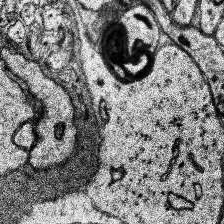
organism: Human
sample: Temporal Lobe